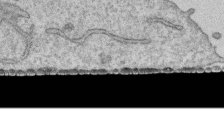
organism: Human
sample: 1205lu cells